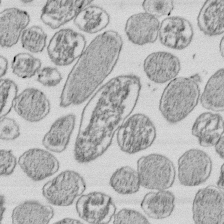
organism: E. coli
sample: Bacterial nucleoid